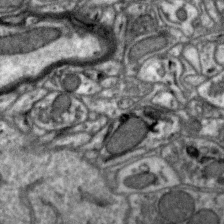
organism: Zebra finch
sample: Brain